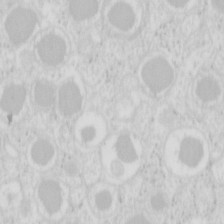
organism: Mouse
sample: Pancreas